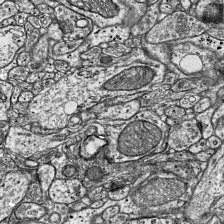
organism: Mouse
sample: Visual Cortex